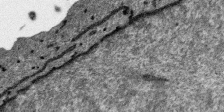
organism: Human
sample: Lung epithelial cells, uninfected (mock) control